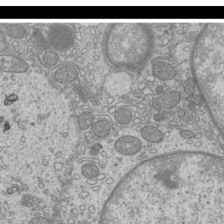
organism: Mouse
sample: Cilia; mouse epididymis